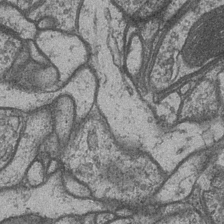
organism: Drosophila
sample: Optic medulla